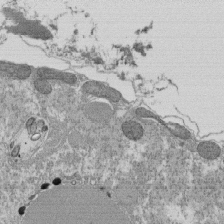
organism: Tetrahymena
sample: Cilia in tetrahymena